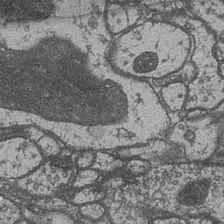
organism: Drosophila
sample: Optic medulla